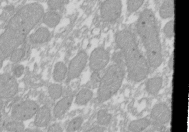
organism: Xenopus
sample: Cilia; centrioles in frog embryo cells